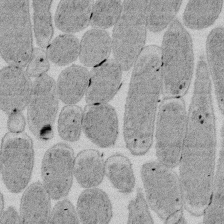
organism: E. coli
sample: Bacterial nucleoid